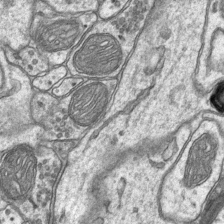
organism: Mouse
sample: CA1 Hippocampus